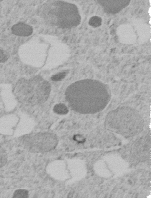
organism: C. elegans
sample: C. elegans embryo early stage